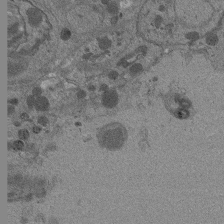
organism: Drosophila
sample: Antenna